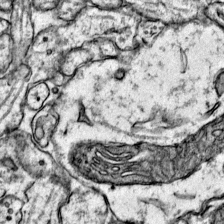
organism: Mouse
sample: Primary visual cortex